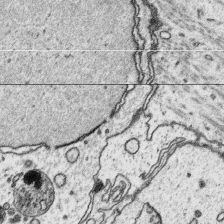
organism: Platynereis dumerilii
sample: Parapodia